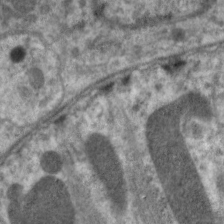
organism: C. elegans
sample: Pharynx